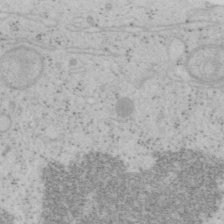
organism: Human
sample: HeLa cells